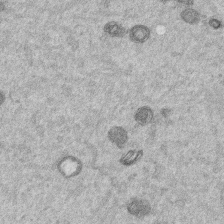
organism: Mouse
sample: Dividing mouse embryo 1 cell stage